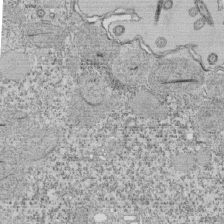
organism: Tetrahymena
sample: Cilia in tetrahymena